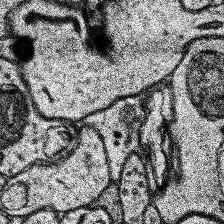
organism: Human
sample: Temporal Lobe